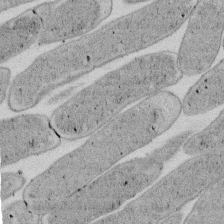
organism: E. coli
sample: Bacterial nucleoid